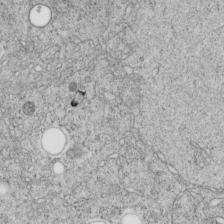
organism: C. elegans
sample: C. elegans embryo early stage